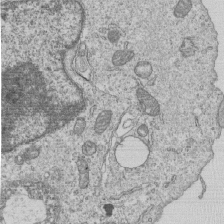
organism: Human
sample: MDA-MB-231 cells